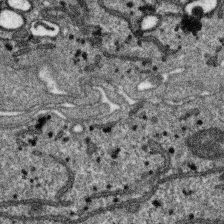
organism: Human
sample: Lung epithelial cells infected with SARS-CoV-2